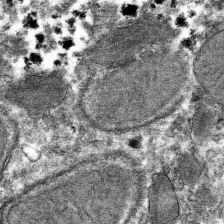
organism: Mouse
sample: Mouse hepatocytes